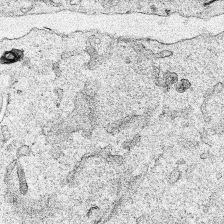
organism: Human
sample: Mitochondria in HCT116 cells